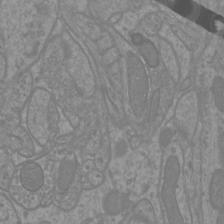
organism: Mouse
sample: Cortical neurons